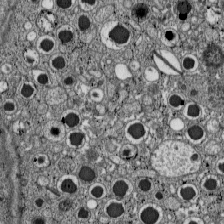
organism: C57BL Mouse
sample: Pancreatic islet